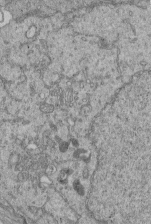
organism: Human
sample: Retinal organoid Rod and Cone cells